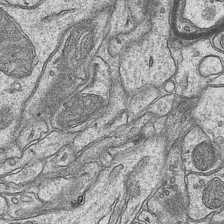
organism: Mouse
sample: CA1 Hippocampus